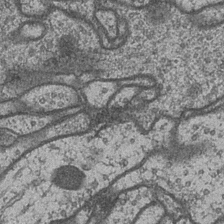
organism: Drosophila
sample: Optic medulla